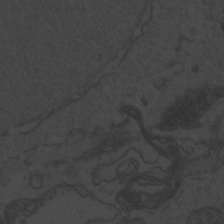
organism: Zebrafish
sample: Macrophage infected with Toxoplasma gondii